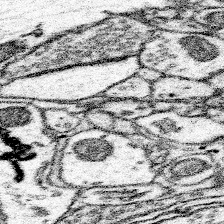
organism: Mouse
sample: Somatosensory cortex neuropil